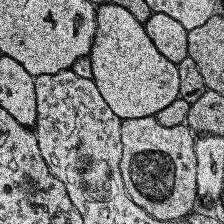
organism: Human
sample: Temporal Lobe